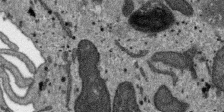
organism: Human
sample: Lung epithelial cells, uninfected (mock) control